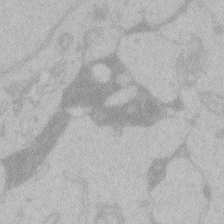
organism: Zebrafish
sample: Macrophage infected with Toxoplasma gondii